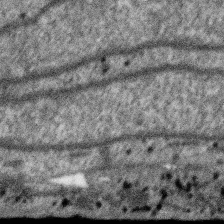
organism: Human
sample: Lung epithelial cells infected with SARS-CoV-2